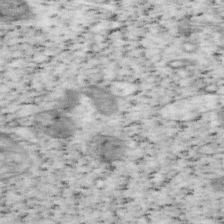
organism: Mouse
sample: OT-I killer T cells with ID8 ovarian cancer cells